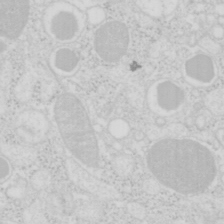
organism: Mouse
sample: Pancreas